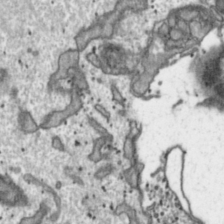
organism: Toxoplasma gondii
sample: Parasites in a vacuole inside a host cell